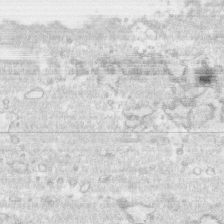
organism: Human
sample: CRL-1474